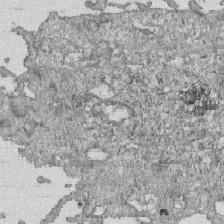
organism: Human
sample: HeLa cell HIV synapse